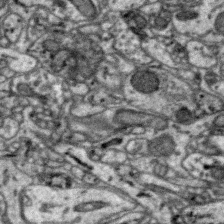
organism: Zebra finch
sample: Brain